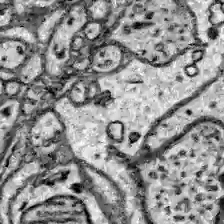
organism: Zebrafish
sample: Brain